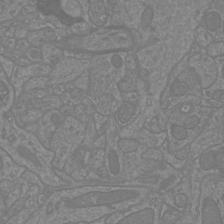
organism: Mouse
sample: Cortical neurons